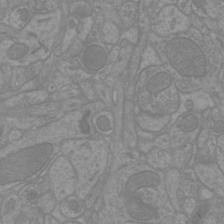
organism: Mouse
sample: Cortical neurons